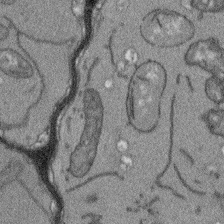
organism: Arabidopsis thaliana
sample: Root tip